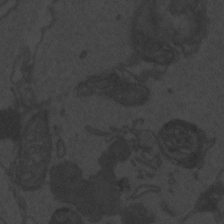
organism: Zebrafish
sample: Macrophage infected with Toxoplasma gondii